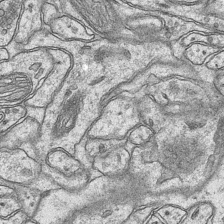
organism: Mouse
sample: CA1 Hippocampus